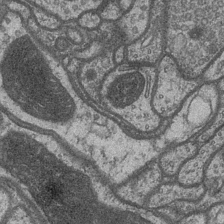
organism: Drosophila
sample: Optic medulla